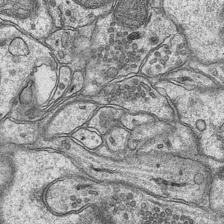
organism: Mouse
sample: CA1 Hippocampus